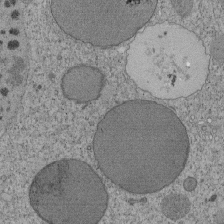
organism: Tetrahymena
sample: Cilia in tetrahymena